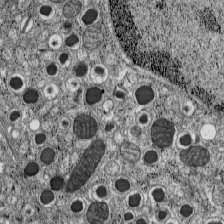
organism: C57BL Mouse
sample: Pancreatic islet